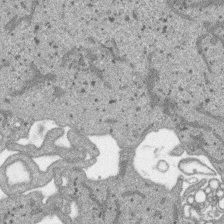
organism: Human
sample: Lung epithelial cells infected with SARS-CoV-2